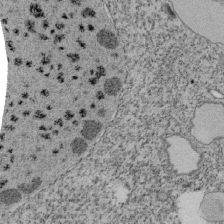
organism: Tetrahymena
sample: Cilia in tetrahymena